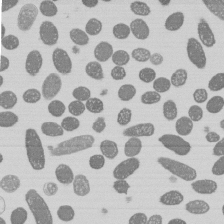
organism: E. coli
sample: Bacterial nucleoid